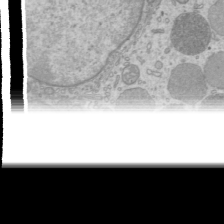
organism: Mouse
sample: Cilia; mouse epididymis